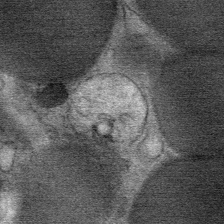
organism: Mouse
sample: Mouse Salivary gland